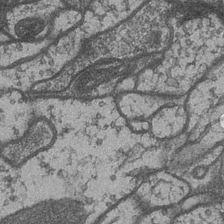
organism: Drosophila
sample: Optic medulla